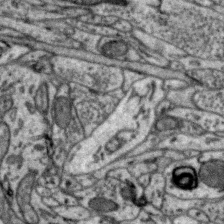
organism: Zebra finch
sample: Brain